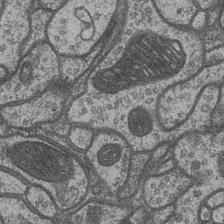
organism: Drosophila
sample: Optic medulla